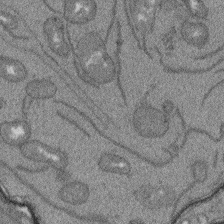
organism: Arabidopsis thaliana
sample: Root tip